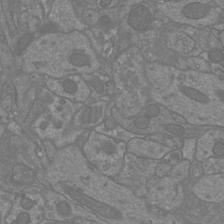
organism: Mouse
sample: Cortical neurons